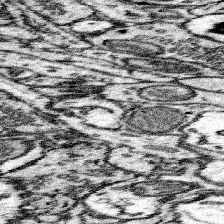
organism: Mouse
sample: Somatosensory cortex neuropil